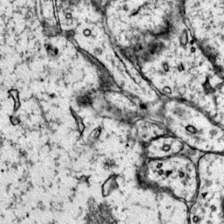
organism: Mouse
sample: Primary visual cortex